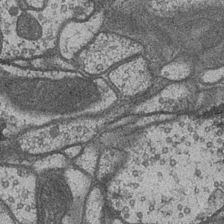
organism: Drosophila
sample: Optic medulla